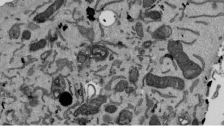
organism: Mouse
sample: ED-1 cell nuclei; centrioles